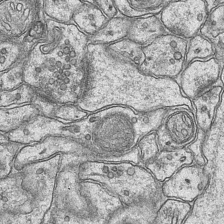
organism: Mouse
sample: CA1 Hippocampus